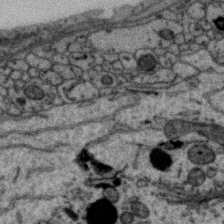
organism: Zebra finch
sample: Brain